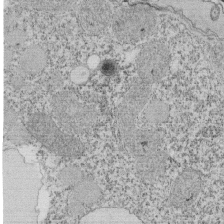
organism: Tetrahymena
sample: Cilia in tetrahymena